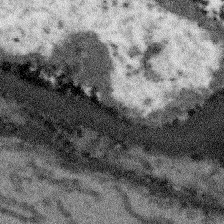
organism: Arabidopsis thaliana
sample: Root tip